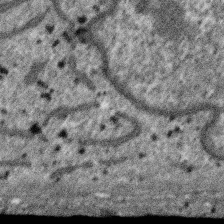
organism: Human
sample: Lung epithelial cells infected with SARS-CoV-2